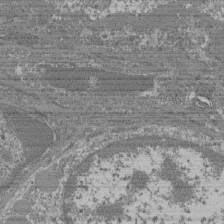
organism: Mouse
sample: Glomerulus